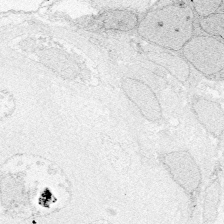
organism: Zebrafish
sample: Whole-Brain